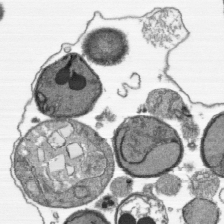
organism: Plasmodium falciparum